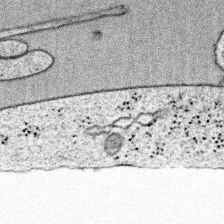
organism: Human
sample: HeLa cells